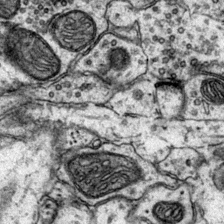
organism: Mouse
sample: Primary visual cortex